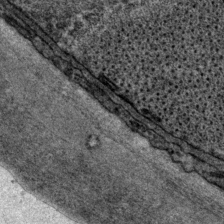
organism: P. pacificus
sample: Pharynx